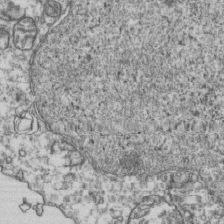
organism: Human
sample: Activated Jurkat CD4+ T cells